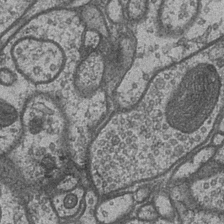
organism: Drosophila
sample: Optic medulla